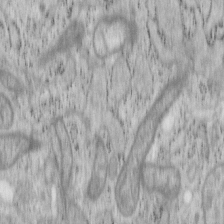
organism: Human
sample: HeLa cells